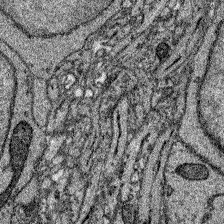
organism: Zebrafish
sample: Larval olfactory bulb